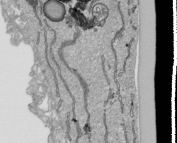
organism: Human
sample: Mitochondria in HCT116 cells